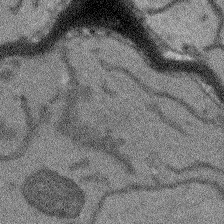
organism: Arabidopsis thaliana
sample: Root tip